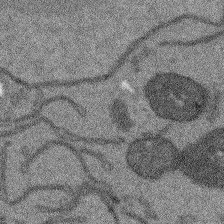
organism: Arabidopsis thaliana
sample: Root tip